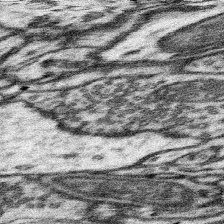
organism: Mouse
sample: Somatosensory cortex neuropil